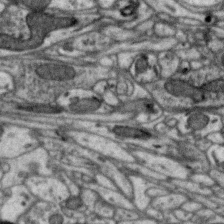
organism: Zebra finch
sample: Brain